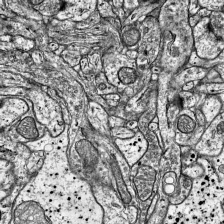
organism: Mouse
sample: Visual Cortex